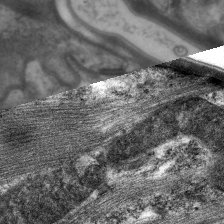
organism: C. elegans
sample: Pharynx